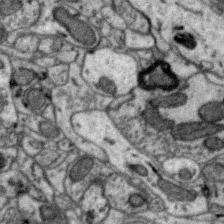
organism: Zebra finch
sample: Brain